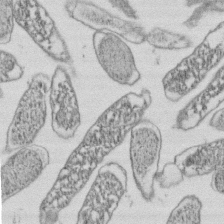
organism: E. coli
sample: Bacterial nucleoid